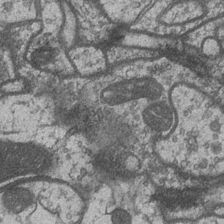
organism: Drosophila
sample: Optic medulla